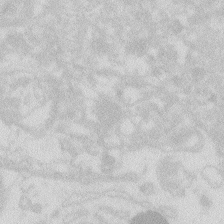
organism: Zebrafish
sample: Macrophage